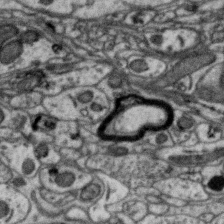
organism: Zebra finch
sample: Brain